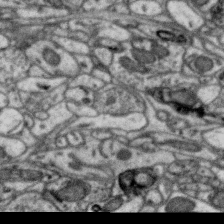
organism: Zebra finch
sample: Brain